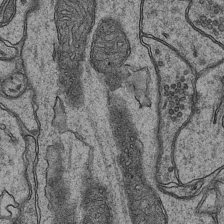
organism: Mouse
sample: CA1 Hippocampus